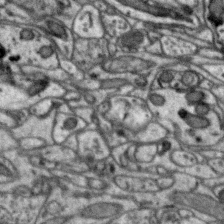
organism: Zebra finch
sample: Brain